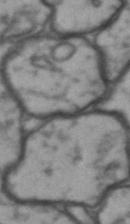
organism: Drosophila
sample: Brain